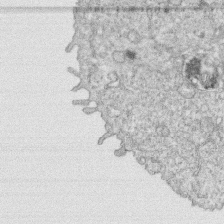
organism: Human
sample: HeLa cell HIV synapse